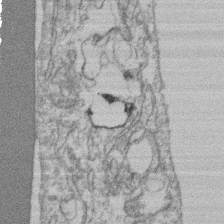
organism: Mouse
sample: T cell stromal cell synapse